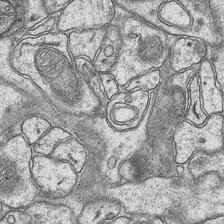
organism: Mouse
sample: CA1 Hippocampus